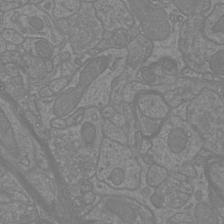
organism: Mouse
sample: Cortical neurons